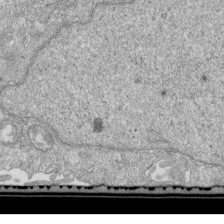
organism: Human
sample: HeLa cell HIV synapse